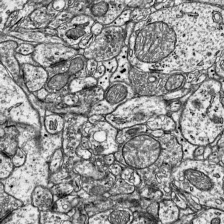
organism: Mouse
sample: Visual Cortex